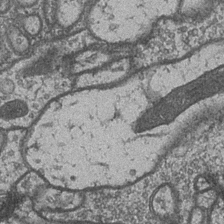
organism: Drosophila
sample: Optic medulla